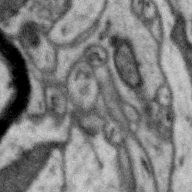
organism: Zebra finch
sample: Brain